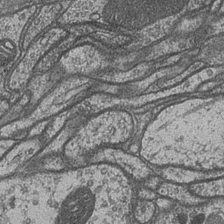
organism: Drosophila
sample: Optic medulla